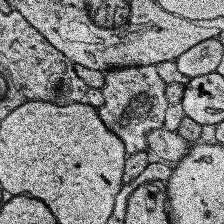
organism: Human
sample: Temporal Lobe